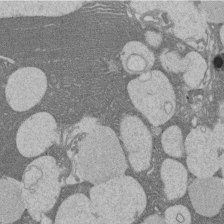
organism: Rat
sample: Salivary granule